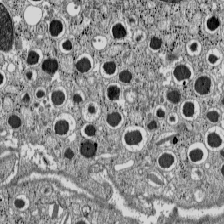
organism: C57BL Mouse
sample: Pancreatic islet